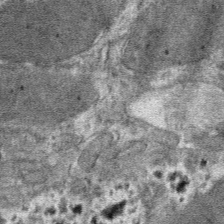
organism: Mouse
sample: Mouse hepatocytes